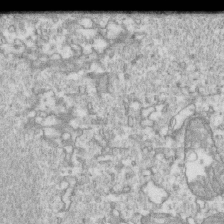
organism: Mouse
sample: Activated OT-1 CD8+ T cells